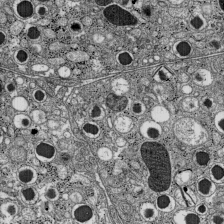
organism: C57BL Mouse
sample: Pancreatic islet